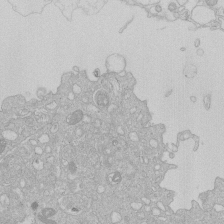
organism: Human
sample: Macrophage cells